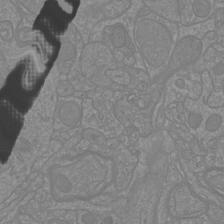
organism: Mouse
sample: Cortical neurons